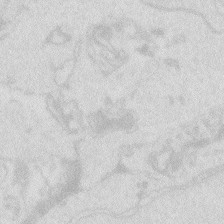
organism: Zebrafish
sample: Macrophage